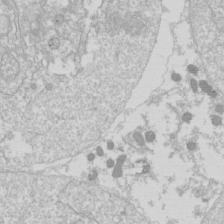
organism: Drosophila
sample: Cell division; meiosis; drosophila spermatocytes